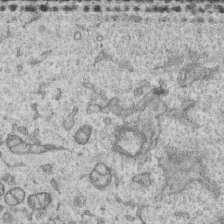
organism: Human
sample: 1205lu cells